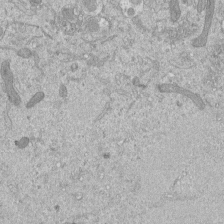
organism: Mouse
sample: ED-1 cell nuclei; centrioles